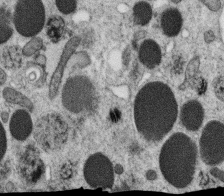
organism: C. elegans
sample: C. elegans oocyte; sperm cells